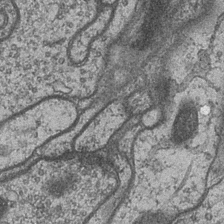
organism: Drosophila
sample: Optic medulla